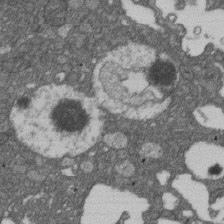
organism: Drosophila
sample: Nephrocyte